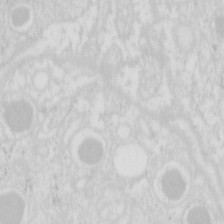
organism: Mouse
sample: Pancreas